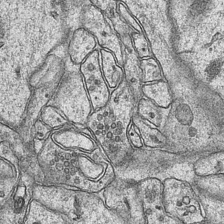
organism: Mouse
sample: CA1 Hippocampus